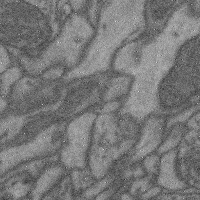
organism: Mouse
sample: Cerebral cortex